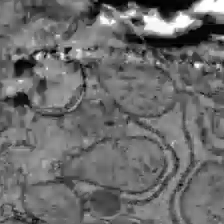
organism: C57BL Mouse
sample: Liver